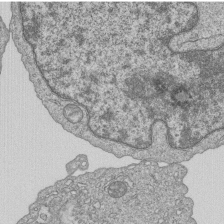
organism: Human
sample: MDA-MB-231 cells